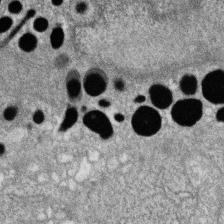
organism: Zebrafish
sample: Cilia; retinal pigment epithelium